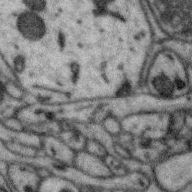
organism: Zebra finch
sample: Brain